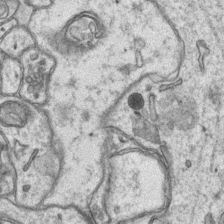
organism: Mouse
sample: CA1 Hippocampus